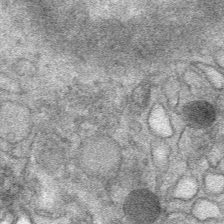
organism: Mouse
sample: Mouse Salivary gland